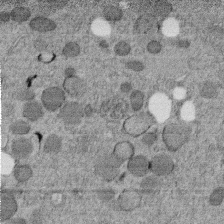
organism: C. elegans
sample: C. elegans embryo early stage